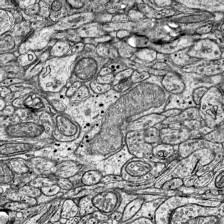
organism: Mouse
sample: Visual Cortex